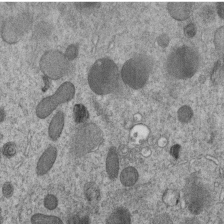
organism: C. elegans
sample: C. elegans embryo early stage